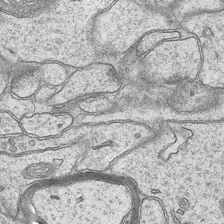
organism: Mouse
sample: CA1 Hippocampus